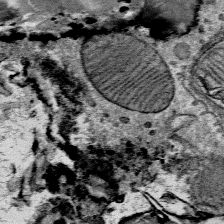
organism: Mouse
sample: Mouse Salivary gland